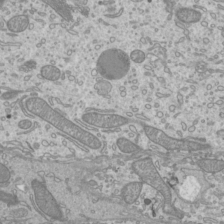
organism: Mouse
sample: Cilia; mouse epididymis